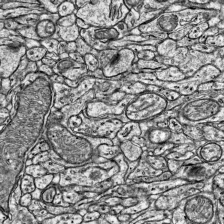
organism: Mouse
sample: Visual Cortex